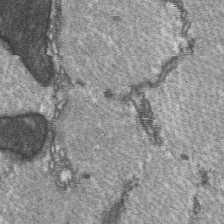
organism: C57BL Mouse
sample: Soleus